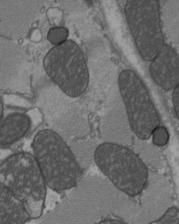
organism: C57BL Mouse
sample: Heart